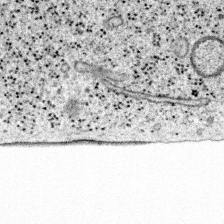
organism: Human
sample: HeLa cells